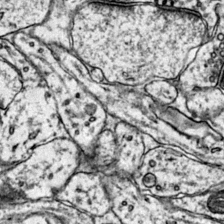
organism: Mouse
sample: Primary visual cortex